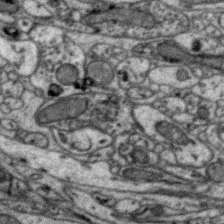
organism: Zebra finch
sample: Brain